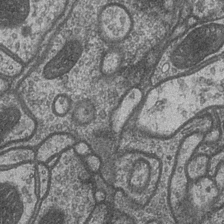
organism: Drosophila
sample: Optic medulla